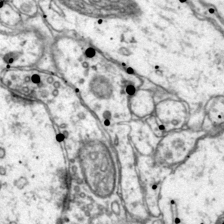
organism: Mouse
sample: Primary visual cortex